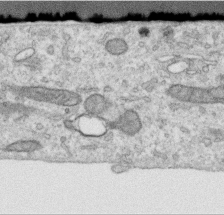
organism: Human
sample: Centriole in RPE cells